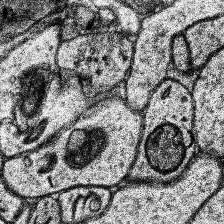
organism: Human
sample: Temporal Lobe